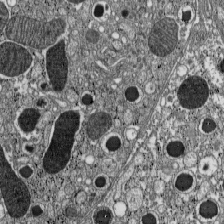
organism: C57BL Mouse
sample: Pancreatic islet